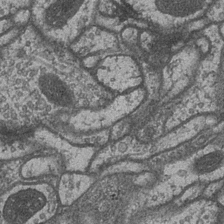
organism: Drosophila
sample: Optic medulla